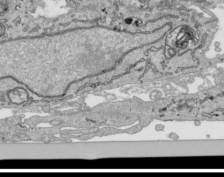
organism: Human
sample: Mitochondria in HCT116 cells